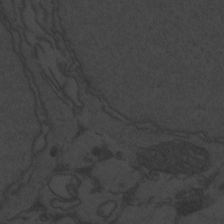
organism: Zebrafish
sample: Macrophage infected with Toxoplasma gondii